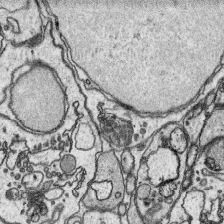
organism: Platynereis dumerilii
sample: Parapodia